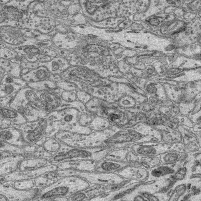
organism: Mouse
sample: Retina